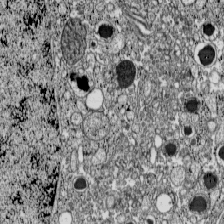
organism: C57BL Mouse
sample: Pancreatic islet